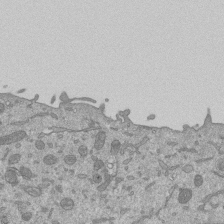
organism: Mouse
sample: ED-1 cell nuclei; centrioles